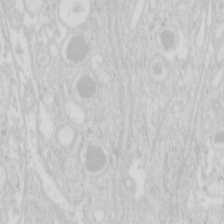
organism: Mouse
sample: Pancreas